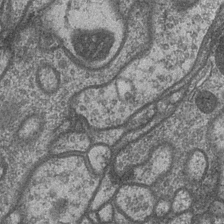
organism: Drosophila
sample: Optic medulla